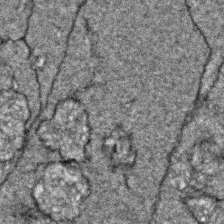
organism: Zebrafish